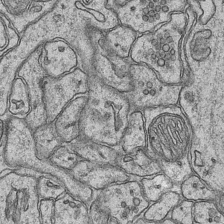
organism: Mouse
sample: CA1 Hippocampus